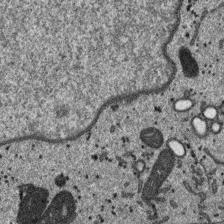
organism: Human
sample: Lung epithelial cells infected with SARS-CoV-2